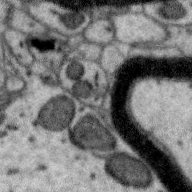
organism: Zebra finch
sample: Brain